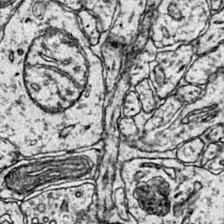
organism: Mouse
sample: Primary visual cortex